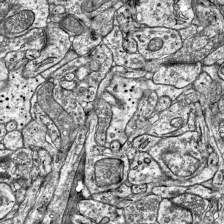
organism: Mouse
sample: Visual Cortex